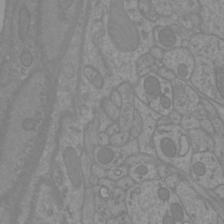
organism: Mouse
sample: Cortical neurons